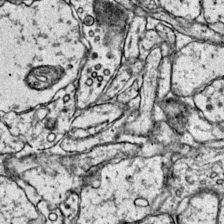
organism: Mouse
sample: Primary visual cortex